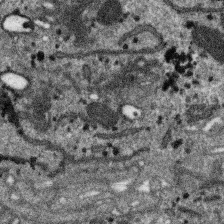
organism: Human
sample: Lung epithelial cells infected with SARS-CoV-2